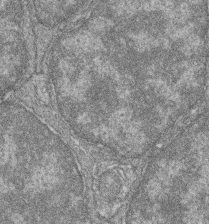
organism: Zebrafish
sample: Cilia; retinal pigment epithelium